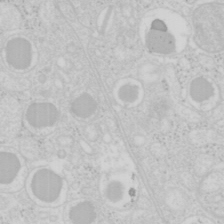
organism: Mouse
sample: Pancreas